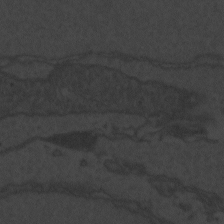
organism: Zebrafish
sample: Macrophage infected with Toxoplasma gondii